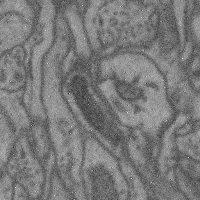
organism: Mouse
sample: Cerebral cortex